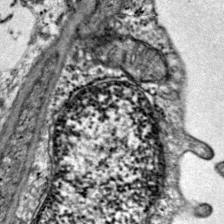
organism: Mouse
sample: Primary visual cortex